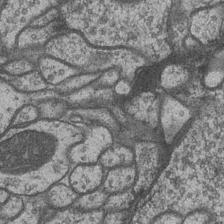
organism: Drosophila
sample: Optic medulla